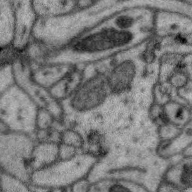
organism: Zebra finch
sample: Brain